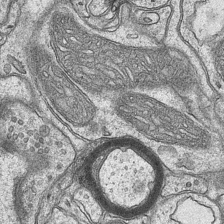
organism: Mouse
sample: CA1 Hippocampus